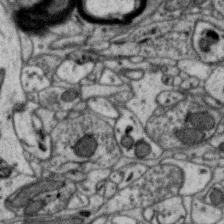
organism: Zebra finch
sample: Brain